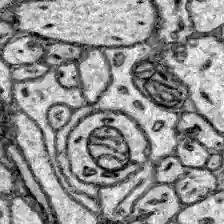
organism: Zebrafish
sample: Brain